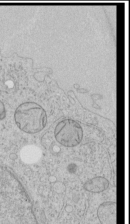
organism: Human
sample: Mitochondria in HCT116 cells